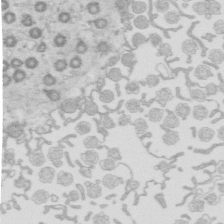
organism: Mouse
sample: Multiciliated cells